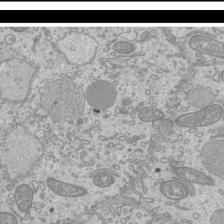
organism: Mouse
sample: Cilia; mouse epididymis